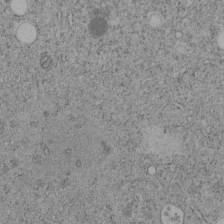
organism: C. elegans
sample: C. elegans embryo early stage